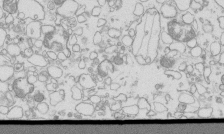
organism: Mouse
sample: Macrophages